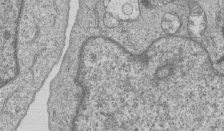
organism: Human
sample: MDA-MB-231 cells